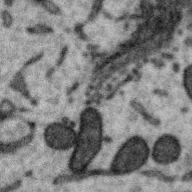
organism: Zebra finch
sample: Brain